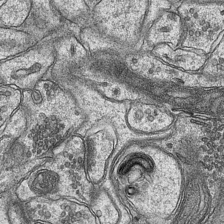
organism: Mouse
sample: CA1 Hippocampus